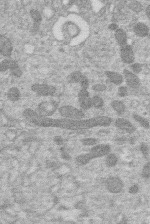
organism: Human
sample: Macrophage cells